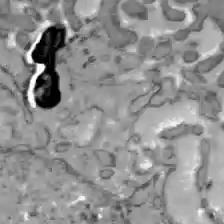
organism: C57BL Mouse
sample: Liver